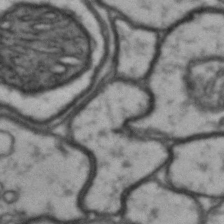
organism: Drosophila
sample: Brain